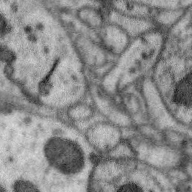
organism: Zebra finch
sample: Brain